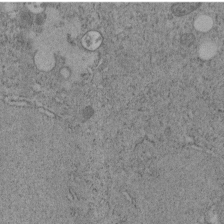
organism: C. elegans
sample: C. elegans embryo early stage